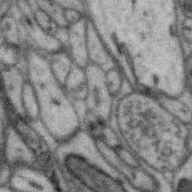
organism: Zebra finch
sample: Brain